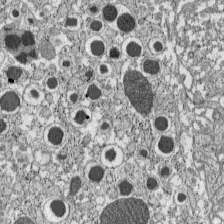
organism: C57BL Mouse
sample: Pancreatic islet